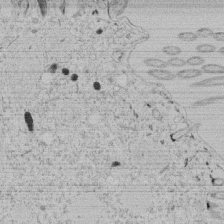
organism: Tetrahymena